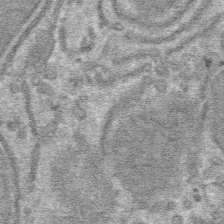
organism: Mouse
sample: Mouse hepatocytes